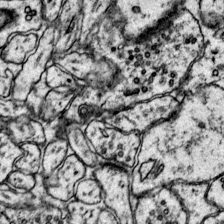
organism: Mouse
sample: Primary visual cortex